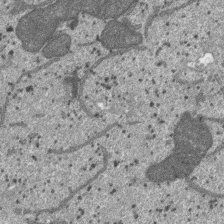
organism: Human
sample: Lung epithelial cells infected with SARS-CoV-2